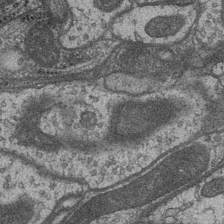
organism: Drosophila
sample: Optic medulla